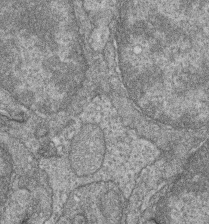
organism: Zebrafish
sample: Cilia; retinal pigment epithelium